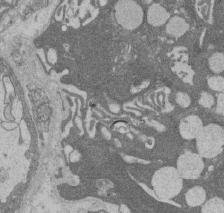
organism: Rat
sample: Salivary granule